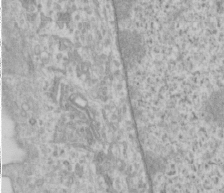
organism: Human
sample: Cilia; basal body in RPE cells